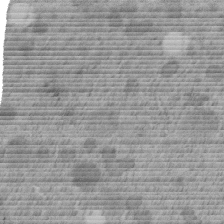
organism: C. elegans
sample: C. elegans embryo early stage